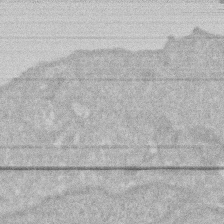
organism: Human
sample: HIV infected U937 cells